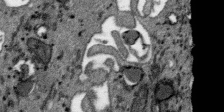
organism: Human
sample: Lung epithelial cells, uninfected (mock) control